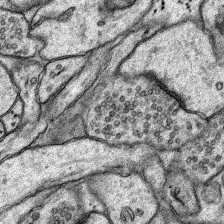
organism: Rat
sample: Hippocampus